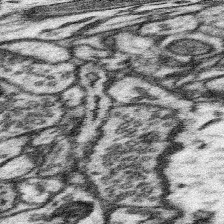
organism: Mouse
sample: Somatosensory cortex neuropil